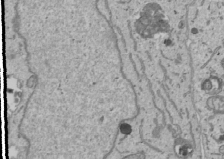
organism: Human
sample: Mitochondria in U2OS cells